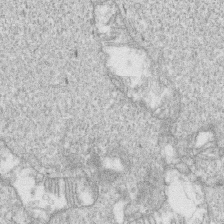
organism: Human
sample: HeLa cell HIV synapse